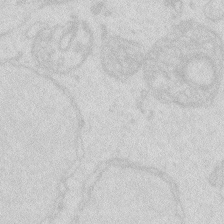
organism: Zebrafish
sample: Macrophage